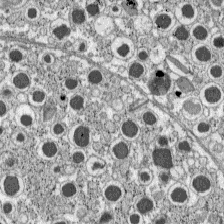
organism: C57BL Mouse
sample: Pancreatic islet